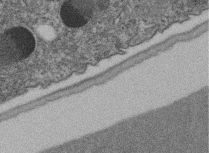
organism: C. elegans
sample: C. elegans embryo early stage